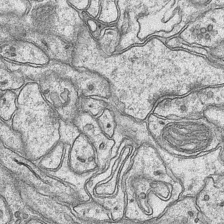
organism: Mouse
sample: CA1 Hippocampus